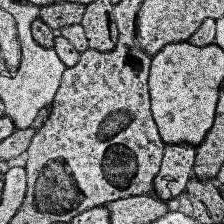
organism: Human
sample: Temporal Lobe